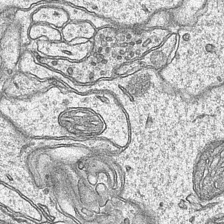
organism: Mouse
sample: CA1 Hippocampus